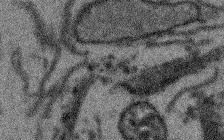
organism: Arabidopsis thaliana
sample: Root tip